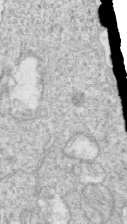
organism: Human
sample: HeLa cell HIV synapse